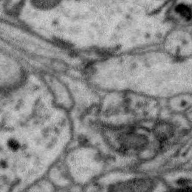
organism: Zebra finch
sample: Brain